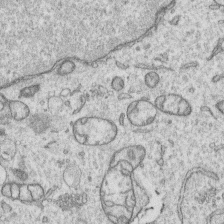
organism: Human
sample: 1205lu cells